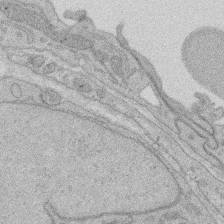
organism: Rat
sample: Salivary granule